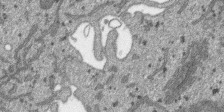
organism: Human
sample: Lung epithelial cells infected with SARS-CoV-2